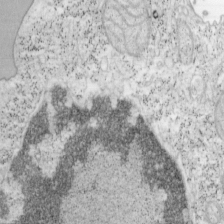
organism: Mouse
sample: OT-I killer T cells with ID8 ovarian cancer cells